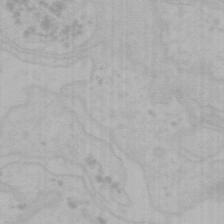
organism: Mouse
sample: Choroid plexus